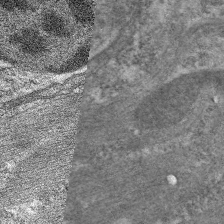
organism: C. elegans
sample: Pharynx